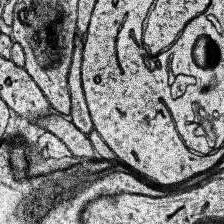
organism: Human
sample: Temporal Lobe